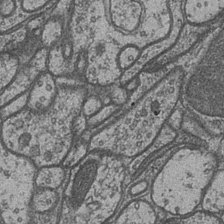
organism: Drosophila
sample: Optic medulla